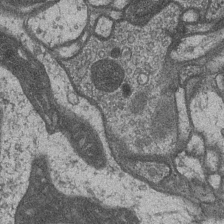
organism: Drosophila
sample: Optic medulla